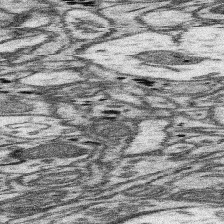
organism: Mouse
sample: Somatosensory cortex neuropil